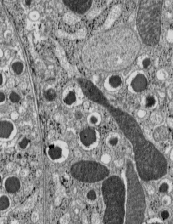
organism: C57BL Mouse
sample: Pancreatic islet